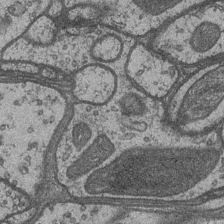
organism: Drosophila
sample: Optic medulla